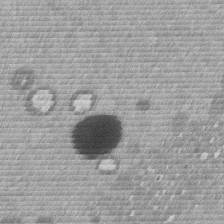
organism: Mouse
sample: Dividing mouse embryo 1 cell stage